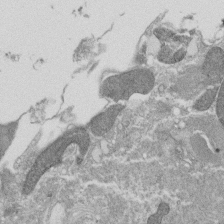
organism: Tetrahymena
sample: Cilia in tetrahymena